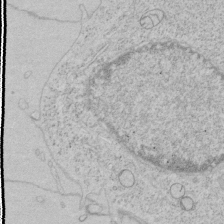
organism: Human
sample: Mitochondria in HCT116 cells